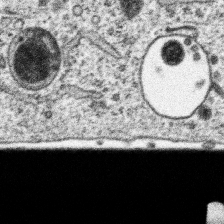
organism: Human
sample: HeLa cells